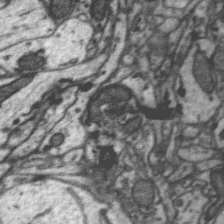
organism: Zebra finch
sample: Brain